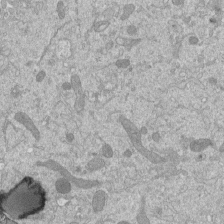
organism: Mouse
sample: ED-1 cell nuclei; centrioles